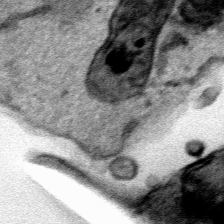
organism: Human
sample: Mitochondria in HCT116 cells